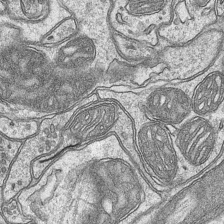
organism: Mouse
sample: CA1 Hippocampus